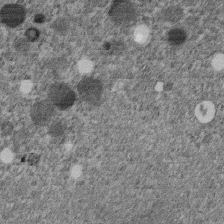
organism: C. elegans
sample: C. elegans embryo early stage